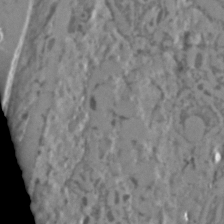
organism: C. elegans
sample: C. elegans embryo